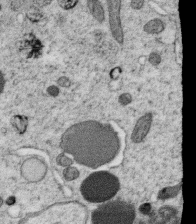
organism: C. elegans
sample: C. elegans oocyte; sperm cells